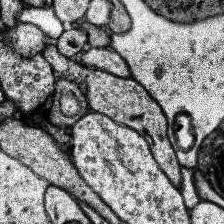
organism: Human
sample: Temporal Lobe